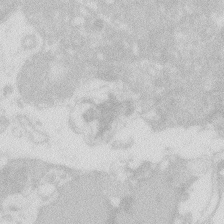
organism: Zebrafish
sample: Macrophage